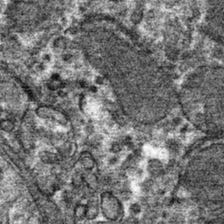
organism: Mouse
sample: Mouse hepatocytes